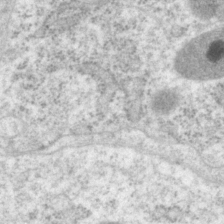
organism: P. pacificus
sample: Pharynx